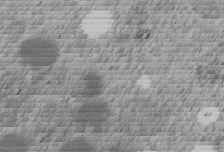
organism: C. elegans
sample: C. elegans embryo early stage